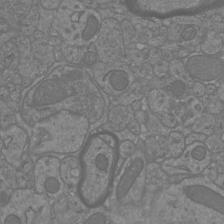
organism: Mouse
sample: Cortical neurons